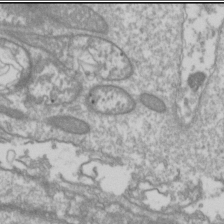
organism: Drosophila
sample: Cell division; meiosis; drosophila spermatocytes